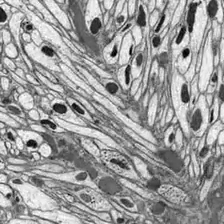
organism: Drosophila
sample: Optic lobe